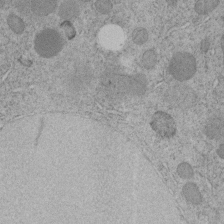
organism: C. elegans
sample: C. elegans embryo early stage